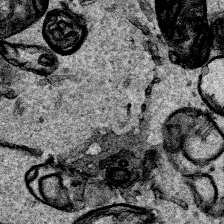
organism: Human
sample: Mitochondria in HCT116 cells